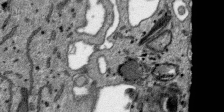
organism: Human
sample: Lung epithelial cells, uninfected (mock) control